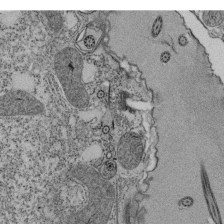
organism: Tetrahymena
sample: Cilia in tetrahymena